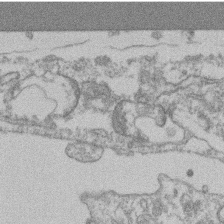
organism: Mouse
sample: T cell stromal cell synapse